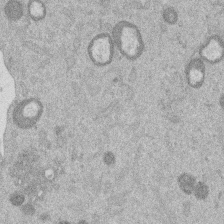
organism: Mouse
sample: Dividing mouse embryo 1 cell stage